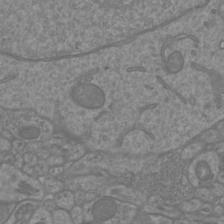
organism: Mouse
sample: Cortical neurons